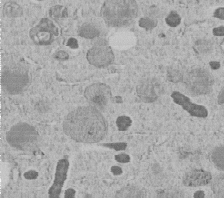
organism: C. elegans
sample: C. elegans embryo early stage